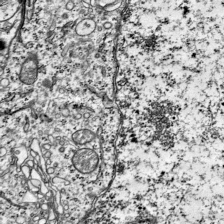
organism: Mouse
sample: Visual Cortex